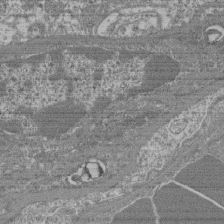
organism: Mouse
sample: Glomerulus